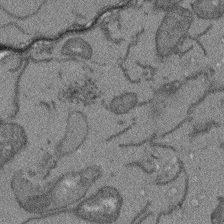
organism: Arabidopsis thaliana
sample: Root tip